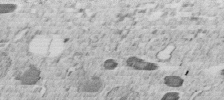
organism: C. elegans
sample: C. elegans embryo early stage